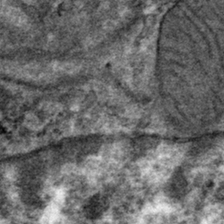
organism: Mouse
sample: Mouse hepatocytes